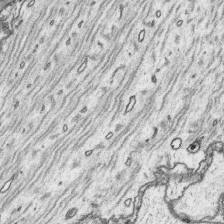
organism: Platynereis dumerilii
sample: Parapodia